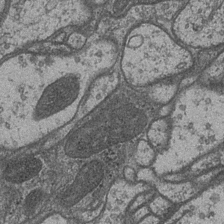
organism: Drosophila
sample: Optic medulla